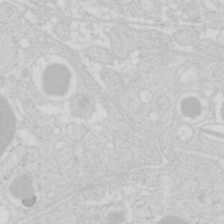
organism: Mouse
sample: Pancreas